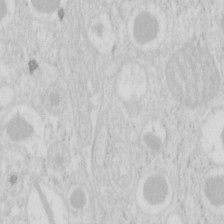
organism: Mouse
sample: Pancreas